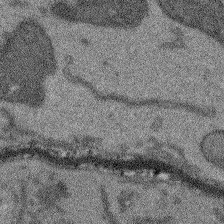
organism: Arabidopsis thaliana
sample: Root tip